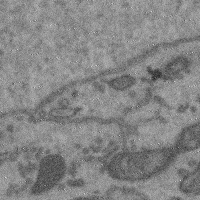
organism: Mouse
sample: Cerebral cortex